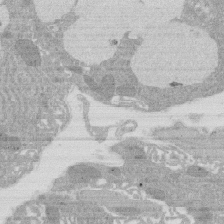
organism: Rat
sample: Salivary granule